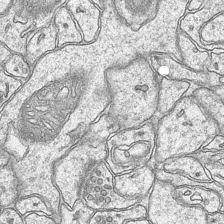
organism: Mouse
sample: CA1 Hippocampus